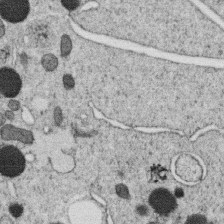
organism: C. elegans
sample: C. elegans oocyte; sperm cells